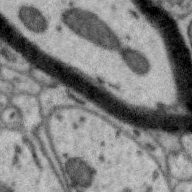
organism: Zebra finch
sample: Brain